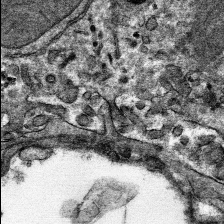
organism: Mouse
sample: Mouse hepatocytes